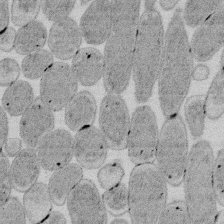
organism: E. coli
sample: Bacterial nucleoid